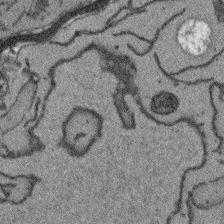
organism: Arabidopsis thaliana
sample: Root tip